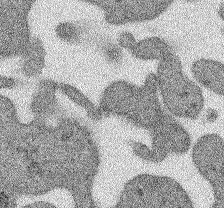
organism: Human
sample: HeLa cells